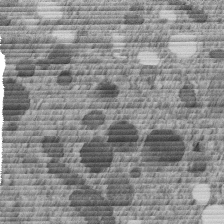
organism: C. elegans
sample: C. elegans embryo early stage